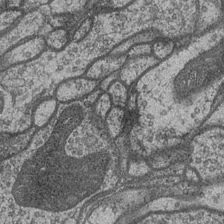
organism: Drosophila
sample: Optic medulla